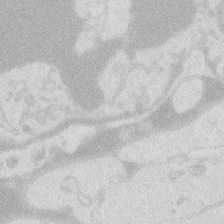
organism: Zebrafish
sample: Macrophage